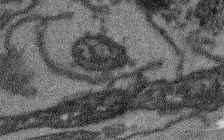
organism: Arabidopsis thaliana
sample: Root tip